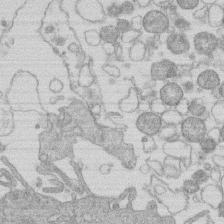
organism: Human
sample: Macrophage cells